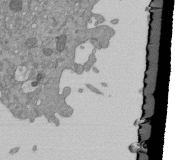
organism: Mouse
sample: ED-1 cell nuclei; centrioles